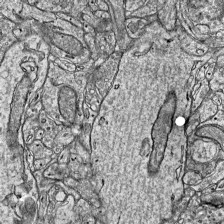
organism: Mouse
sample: Visual Cortex